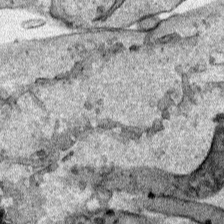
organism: Human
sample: Mitochondria in HCT116 cells